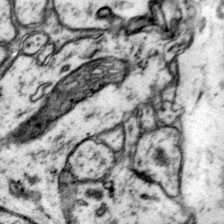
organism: Mouse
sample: Primary visual cortex